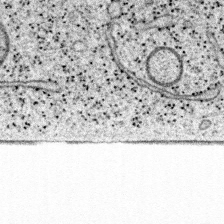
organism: Human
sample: HeLa cells